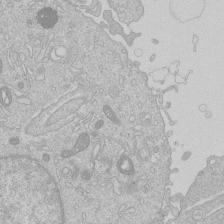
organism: Human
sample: Macrophage cells